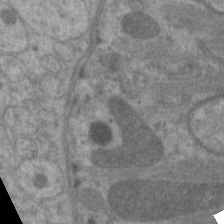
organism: C. elegans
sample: Pharynx